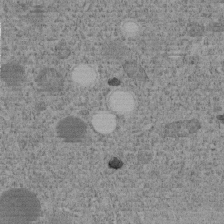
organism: C. elegans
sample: C. elegans embryo early stage